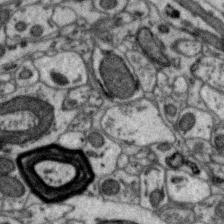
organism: Zebra finch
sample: Brain